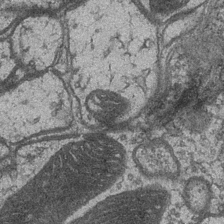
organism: Drosophila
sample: Optic medulla